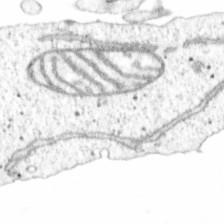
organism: Human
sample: HeLa cells